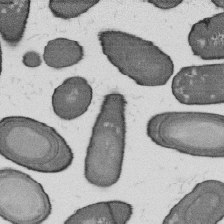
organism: B. subtilis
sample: Bacterial spore